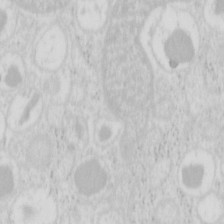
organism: Mouse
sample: Pancreas